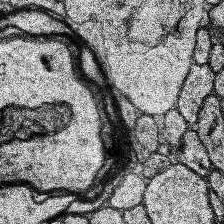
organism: Human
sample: Temporal Lobe